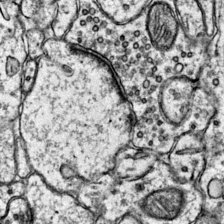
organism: Mouse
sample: Primary visual cortex